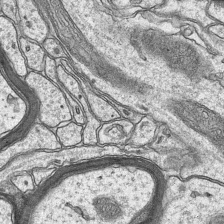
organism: Mouse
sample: CA1 Hippocampus